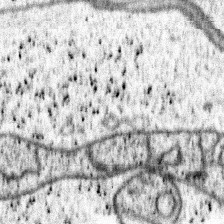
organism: Human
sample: HeLa cells